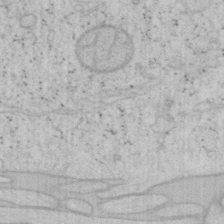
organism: Human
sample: HeLa cells